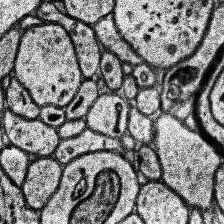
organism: Human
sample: Temporal Lobe